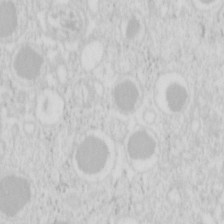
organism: Mouse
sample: Pancreas